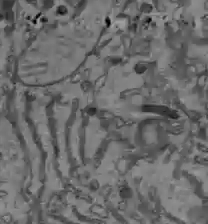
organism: C57BL Mouse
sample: Liver